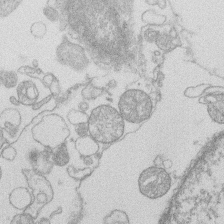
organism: Human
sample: Macrophage cells